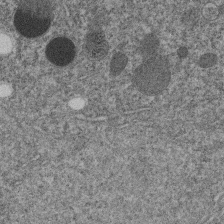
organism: C. elegans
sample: C. elegans embryo early stage